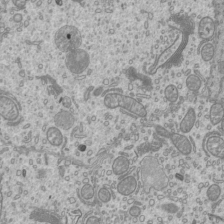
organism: Mouse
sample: Cilia; mouse epididymis